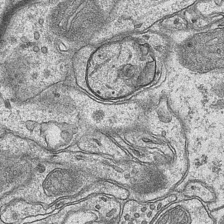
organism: Mouse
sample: CA1 Hippocampus